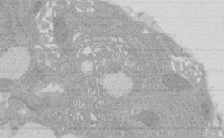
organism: Rat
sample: Salivary granule